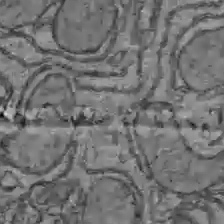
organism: C57BL Mouse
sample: Liver